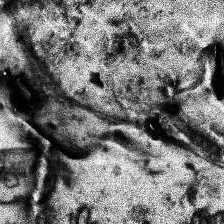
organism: Human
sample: Temporal Lobe